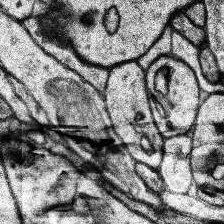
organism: Human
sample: Temporal Lobe